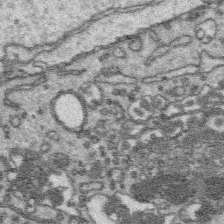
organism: Platynereis dumerilii